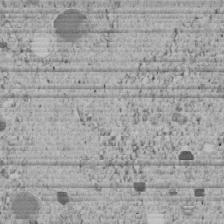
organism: C. elegans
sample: C. elegans embryo early stage